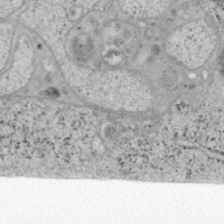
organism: Mouse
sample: OT-I killer T cells with ID8 ovarian cancer cells